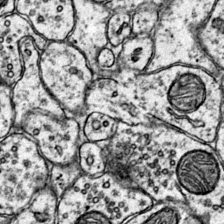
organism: Mouse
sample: Primary visual cortex